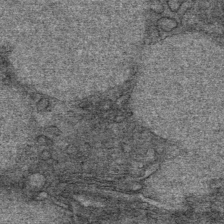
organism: Mouse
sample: Mouse Salivary gland